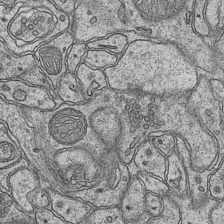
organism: Mouse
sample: CA1 Hippocampus